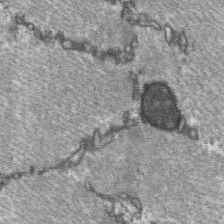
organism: C57BL Mouse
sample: Soleus